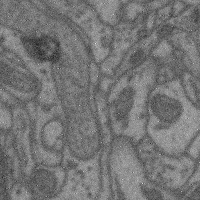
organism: Mouse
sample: Cerebral cortex